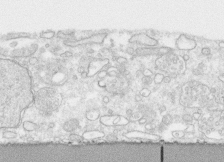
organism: Human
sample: CRL-1474